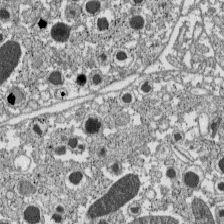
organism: C57BL Mouse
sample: Pancreatic islet